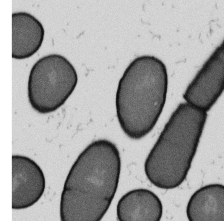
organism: B. subtilis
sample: Bacterial spore